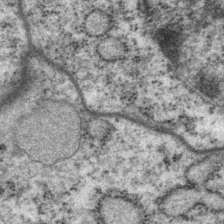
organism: P. pacificus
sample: Pharynx